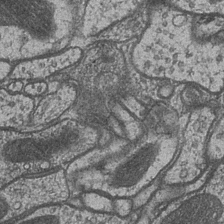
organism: Drosophila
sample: Optic medulla